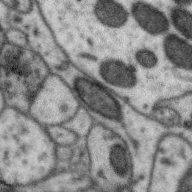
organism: Zebra finch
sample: Brain